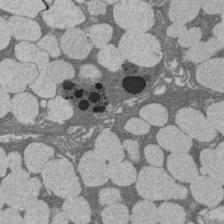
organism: Rat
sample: Salivary granule